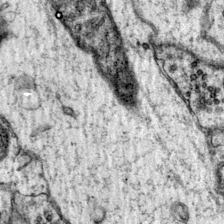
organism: Mouse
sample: Primary visual cortex